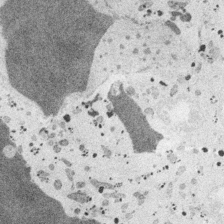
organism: Embia sp.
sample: Silk gland